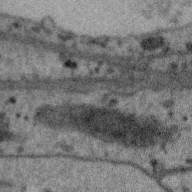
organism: Zebra finch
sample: Brain